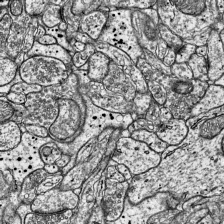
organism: Mouse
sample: Visual Cortex